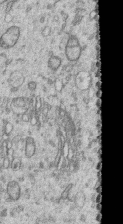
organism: Human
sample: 1205lu cells